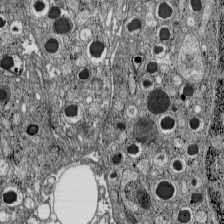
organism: C57BL Mouse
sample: Pancreatic islet